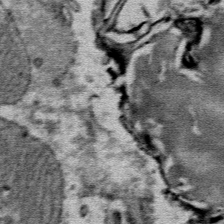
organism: Mouse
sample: Mouse Salivary gland